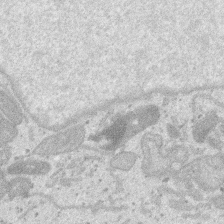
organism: Human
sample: Lung epithelial cells infected with SARS-CoV-2